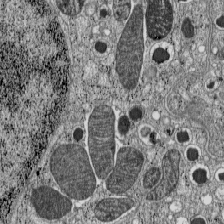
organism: C57BL Mouse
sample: Pancreatic islet